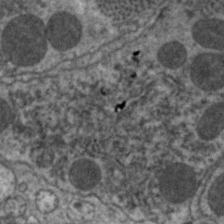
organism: C. elegans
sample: Pharynx